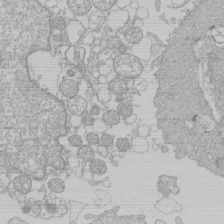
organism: Human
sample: Macrophage cells